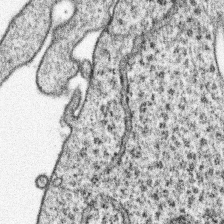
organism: Human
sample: HeLa cells